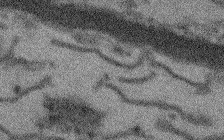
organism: Arabidopsis thaliana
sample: Root tip